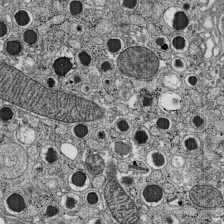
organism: C57BL Mouse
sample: Pancreatic islet